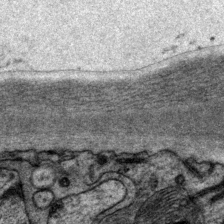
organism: P. pacificus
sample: Pharynx